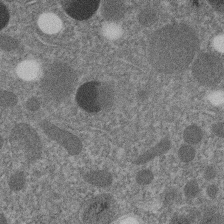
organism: C. elegans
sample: C. elegans embryo early stage